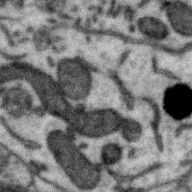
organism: Zebra finch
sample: Brain